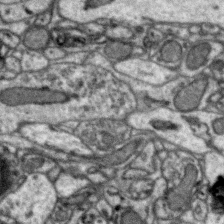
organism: Zebra finch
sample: Brain